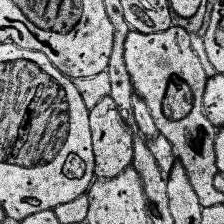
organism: Human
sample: Temporal Lobe